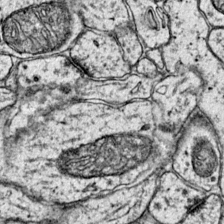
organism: Mouse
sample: Primary visual cortex